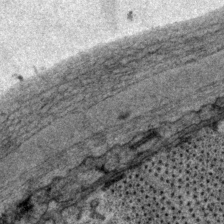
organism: P. pacificus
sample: Pharynx